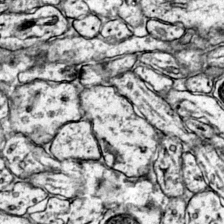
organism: Mouse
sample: Primary visual cortex